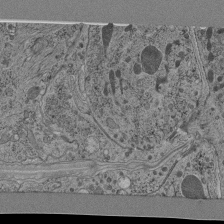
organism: C. elegans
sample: C. elegans pharynx